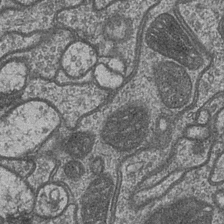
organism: Drosophila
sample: Optic medulla